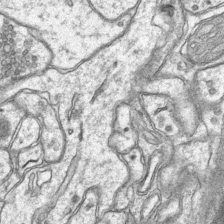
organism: Mouse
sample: CA1 Hippocampus